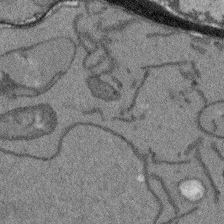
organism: Arabidopsis thaliana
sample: Root tip